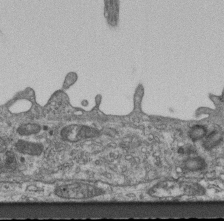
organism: Mouse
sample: Centriole in ependymal cells